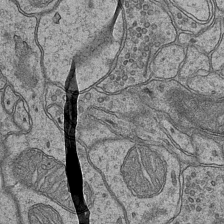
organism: Mouse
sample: CA1 Hippocampus